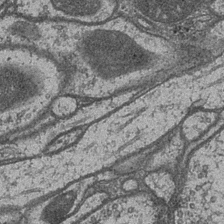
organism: Drosophila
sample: Optic medulla